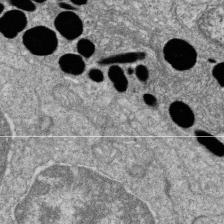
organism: Zebrafish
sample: Cilia; retinal pigment epithelium